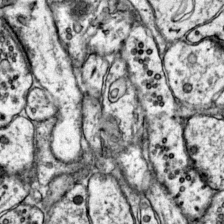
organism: Mouse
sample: Primary visual cortex